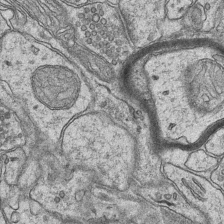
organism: Mouse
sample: CA1 Hippocampus